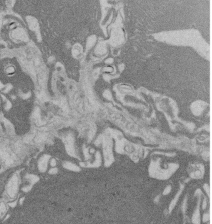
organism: Rat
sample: Salivary granule